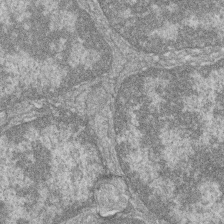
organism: Zebrafish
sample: Cilia; retinal pigment epithelium